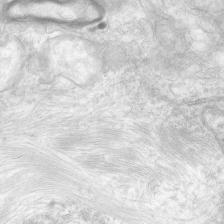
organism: Human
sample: Neocortex